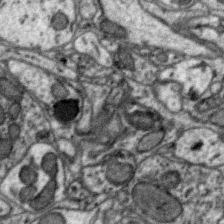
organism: Zebra finch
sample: Brain